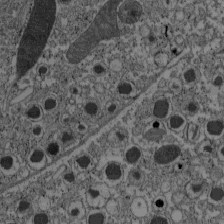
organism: C57BL Mouse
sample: Pancreatic islet